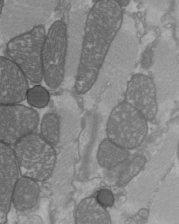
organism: C57BL Mouse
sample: Heart